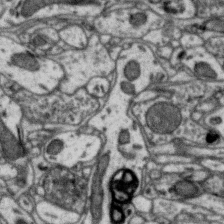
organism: Zebra finch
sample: Brain